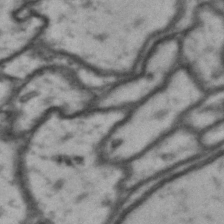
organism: Drosophila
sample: Brain